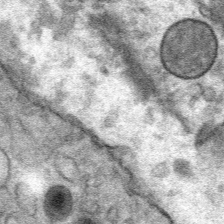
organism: Mouse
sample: Mouse Salivary gland